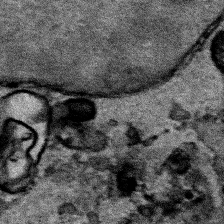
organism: Human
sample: Mitochondria in HCT116 cells